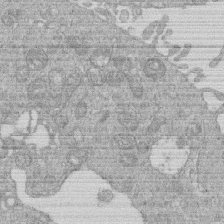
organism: Human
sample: Macrophage cells